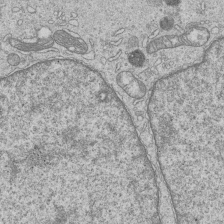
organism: Human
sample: MDA-MB-231 cells